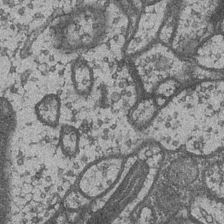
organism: Drosophila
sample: Optic medulla